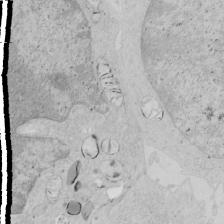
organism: Human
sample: Mitochondria in HCT116 cells